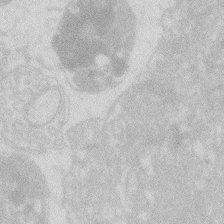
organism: Zebrafish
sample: Macrophage